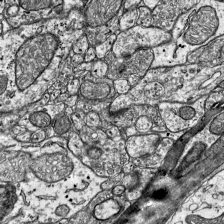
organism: Mouse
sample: Visual Cortex